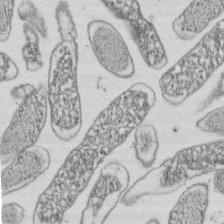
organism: E. coli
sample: Bacterial nucleoid